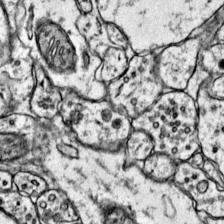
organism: Mouse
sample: Primary visual cortex